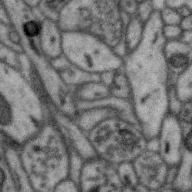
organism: Zebra finch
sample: Brain